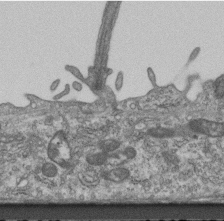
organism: Mouse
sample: Centriole in ependymal cells